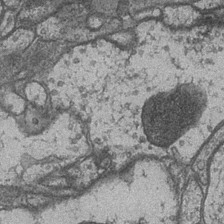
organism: Drosophila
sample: Optic medulla